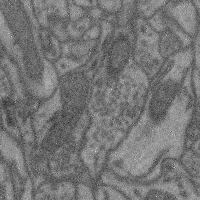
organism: Mouse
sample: Cerebral cortex